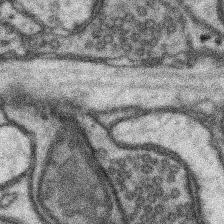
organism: Mouse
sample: Somatosensory cortex neuropil